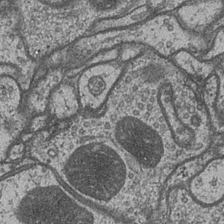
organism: Drosophila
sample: Optic medulla